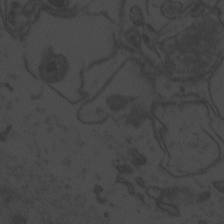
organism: Zebrafish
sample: Macrophage infected with Toxoplasma gondii